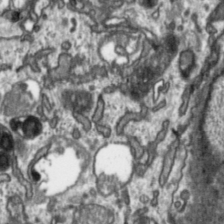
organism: Toxoplasma gondii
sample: Parasites in a vacuole inside a host cell